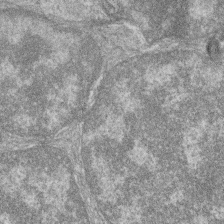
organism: Zebrafish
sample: Cilia; retinal pigment epithelium